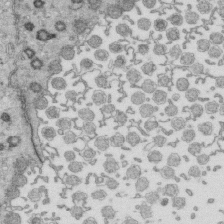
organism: Mouse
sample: Multiciliated cells